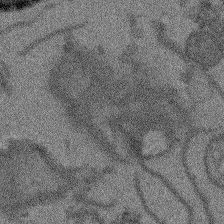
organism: Arabidopsis thaliana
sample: Root tip